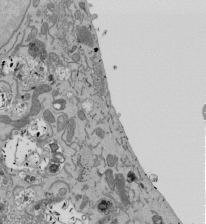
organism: Mouse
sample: ED-1 cell nuclei; centrioles